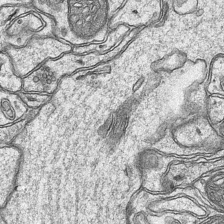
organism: Mouse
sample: CA1 Hippocampus